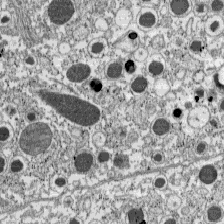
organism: C57BL Mouse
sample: Pancreatic islet